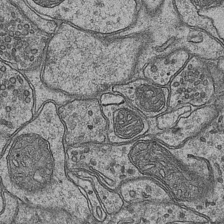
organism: Mouse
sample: CA1 Hippocampus